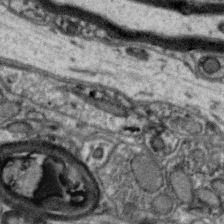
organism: Zebra finch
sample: Brain